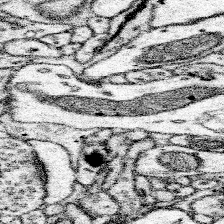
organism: Mouse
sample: Somatosensory cortex neuropil